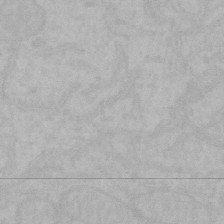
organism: Mouse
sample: Choroid plexus